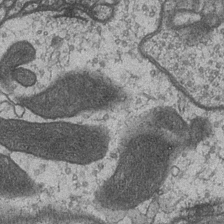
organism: Drosophila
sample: Optic medulla